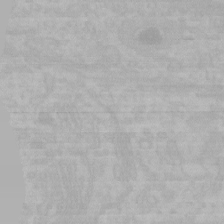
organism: Mouse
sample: Choroid plexus